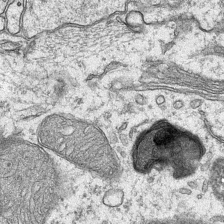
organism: Mouse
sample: CA1 Hippocampus